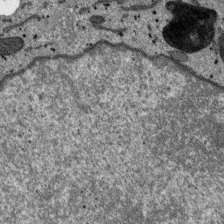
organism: Human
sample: Lung epithelial cells, uninfected (mock) control